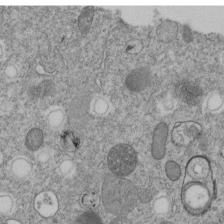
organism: C. elegans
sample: C. elegans embryo early stage